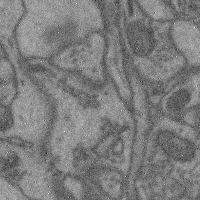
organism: Mouse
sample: Cerebral cortex